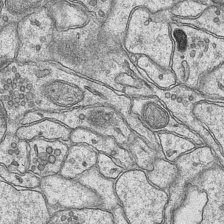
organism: Mouse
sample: CA1 Hippocampus